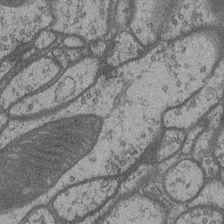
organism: Drosophila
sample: Optic medulla